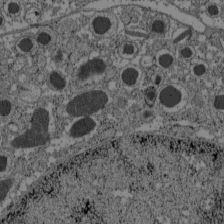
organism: C57BL Mouse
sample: Pancreatic islet